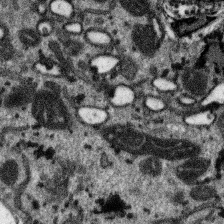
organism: Human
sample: Lung epithelial cells infected with SARS-CoV-2